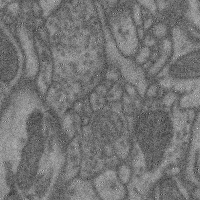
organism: Mouse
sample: Cerebral cortex